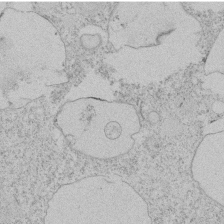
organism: Tetrahymena